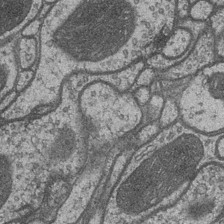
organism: Drosophila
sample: Optic medulla